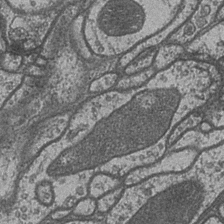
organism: Drosophila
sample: Optic medulla